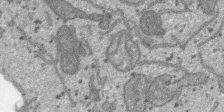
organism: Human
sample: Lung epithelial cells infected with SARS-CoV-2